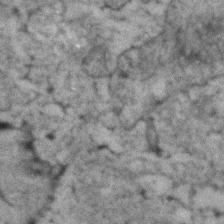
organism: Human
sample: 1205lu cells